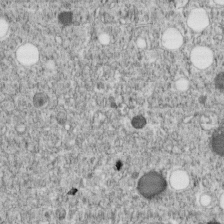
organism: C. elegans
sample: C. elegans embryo early stage